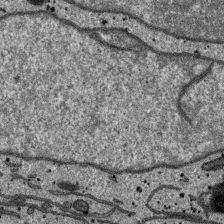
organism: Human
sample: Lung epithelial cells, uninfected (mock) control